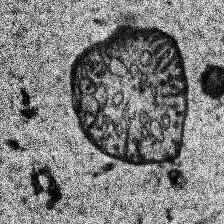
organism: Human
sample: Temporal Lobe